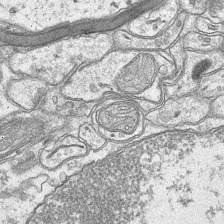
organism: Mouse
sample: CA1 Hippocampus